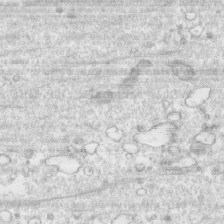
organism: Human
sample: CRL-1474